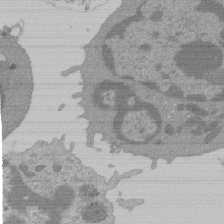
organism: Mouse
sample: Activated Pmel transgenic CD8+ T Cells